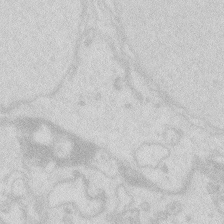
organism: Zebrafish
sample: Macrophage